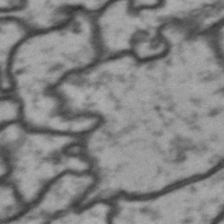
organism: Drosophila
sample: Brain